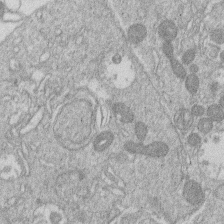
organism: Human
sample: Macrophage cells